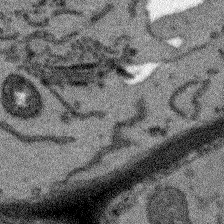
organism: Arabidopsis thaliana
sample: Root tip